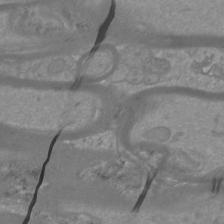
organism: Mouse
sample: Cortical neurons